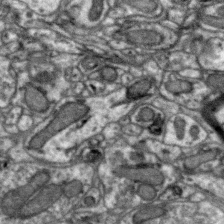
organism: Zebra finch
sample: Brain